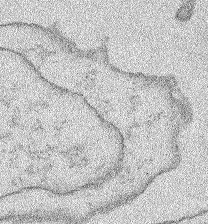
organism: Human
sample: HeLa cells